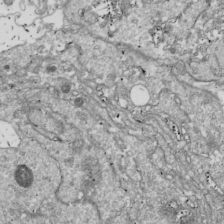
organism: Drosophila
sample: Cell division; meiosis; drosophila spermatocytes